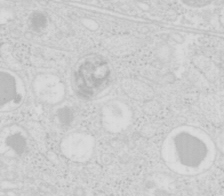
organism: Mouse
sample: Pancreas